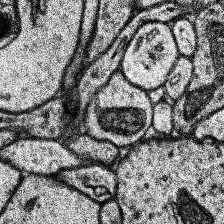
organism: Human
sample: Temporal Lobe